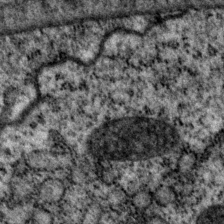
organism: P. pacificus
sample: Pharynx